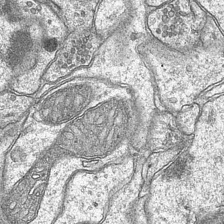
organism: Mouse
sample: CA1 Hippocampus